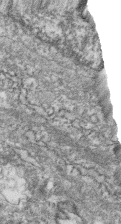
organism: Zebrafish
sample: Cilia; retinal pigment epithelium